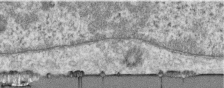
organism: Human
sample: Centriole in RPE cells